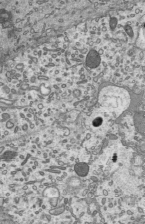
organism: Mouse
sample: Mouse epididymis efferent ductule cilia